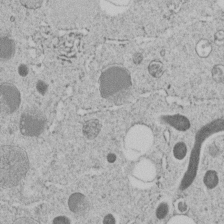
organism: C. elegans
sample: C. elegans embryo early stage